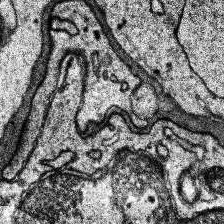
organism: Human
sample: Temporal Lobe